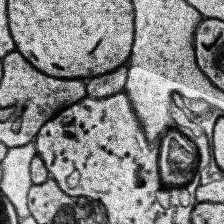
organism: Human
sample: Temporal Lobe